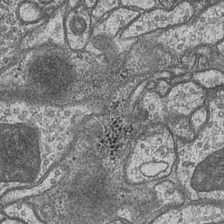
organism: Drosophila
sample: Optic medulla